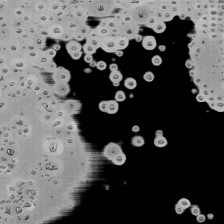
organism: Mouse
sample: Activated Pmel transgenic CD8+ T Cells